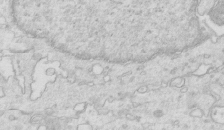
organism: Mouse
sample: Multiciliated cells